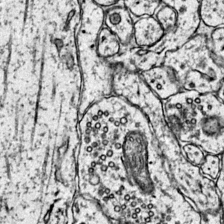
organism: Mouse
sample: Primary visual cortex